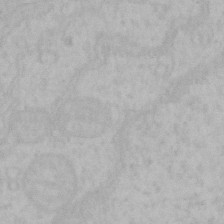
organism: Mouse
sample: Choroid plexus